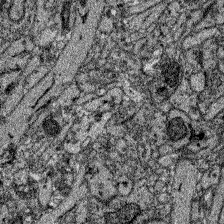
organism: Zebrafish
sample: Larval olfactory bulb